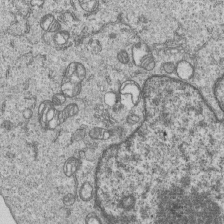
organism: Human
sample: MDA-MB-231 cells